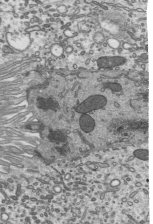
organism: Mouse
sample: Mouse epididymis efferent ductule cilia